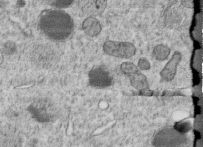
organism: C. elegans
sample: C. elegans embryo early stage